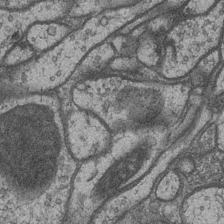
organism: Drosophila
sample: Optic medulla